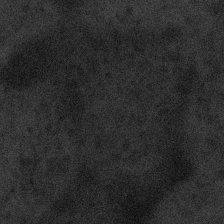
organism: Tuwongella immobilis